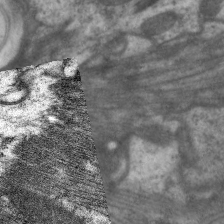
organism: C. elegans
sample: Pharynx